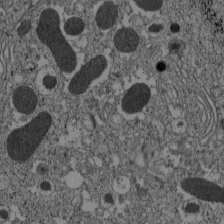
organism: C57BL Mouse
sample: Pancreatic islet